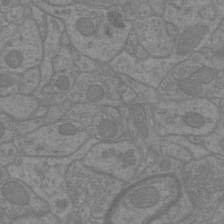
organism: Mouse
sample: Cortical neurons